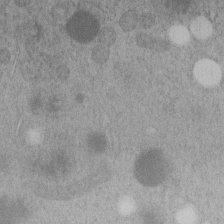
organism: C. elegans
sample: C. elegans embryo early stage